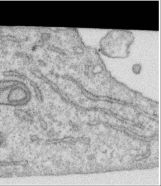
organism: Human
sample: Centriole in RPE cells